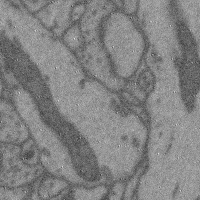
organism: Mouse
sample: Cerebral cortex